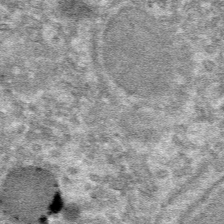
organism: Mouse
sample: Mouse hepatocytes